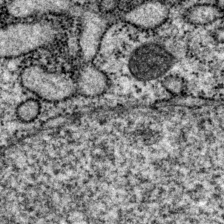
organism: P. pacificus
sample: Pharynx